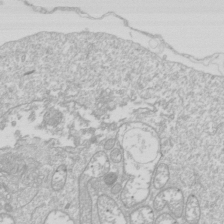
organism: Drosophila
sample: Cell division; meiosis; drosophila spermatocytes